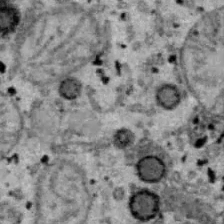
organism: Mouse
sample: Liver from an obese (ob/ob) mouse